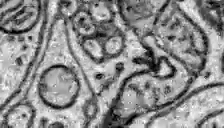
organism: Zebrafish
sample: Brain